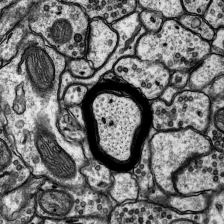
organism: Rat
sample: Hippocampus